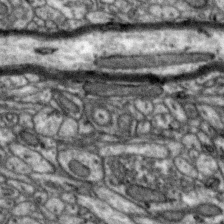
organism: Zebra finch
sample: Brain